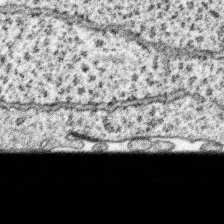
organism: Human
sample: HeLa cells